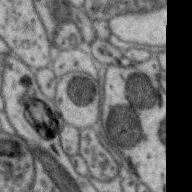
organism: Zebra finch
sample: Brain